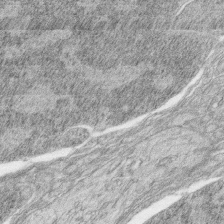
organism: Zebrafish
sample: synaptic ribbons in rod cells and cone cells